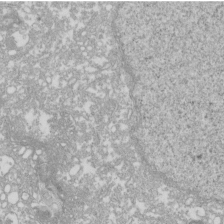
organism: Xenopus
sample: Cilia; centrioles in frog embryo cells